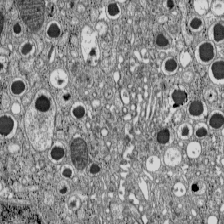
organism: C57BL Mouse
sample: Pancreatic islet